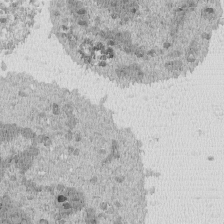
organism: Mouse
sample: Activated Pmel transgenic CD8+ T Cells